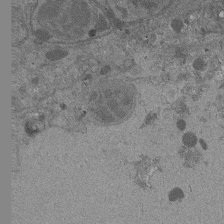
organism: Drosophila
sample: Antenna